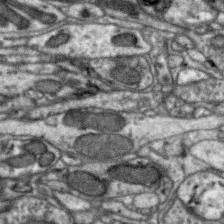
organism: Zebra finch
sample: Brain